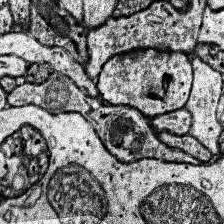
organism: Human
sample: Temporal Lobe